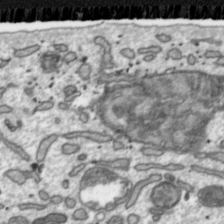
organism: Toxoplasma gondii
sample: Parasites in a vacuole inside a host cell